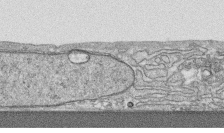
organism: Human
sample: CRL-1474